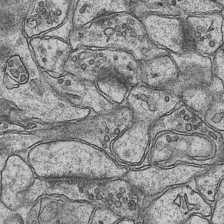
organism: Mouse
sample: CA1 Hippocampus